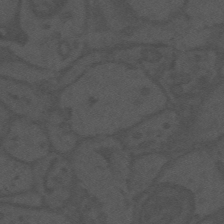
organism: Mouse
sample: Suprachiasmatic nucleus